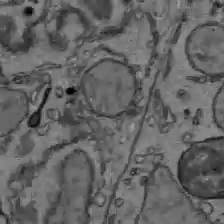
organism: C57BL Mouse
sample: Liver